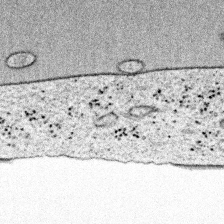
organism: Human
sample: HeLa cells